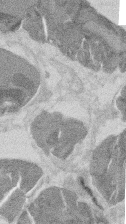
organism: Mouse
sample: T cell stromal cell synapse